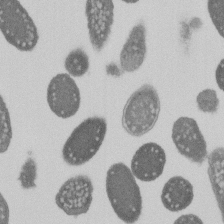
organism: E. coli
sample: Bacterial nucleoid